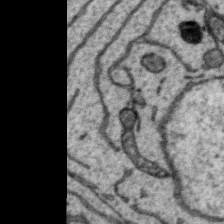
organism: Zebra finch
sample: Brain